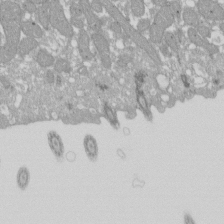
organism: Xenopus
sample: Cilia; centrioles in frog embryo cells